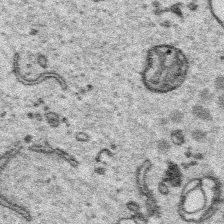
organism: Platynereis dumerilii